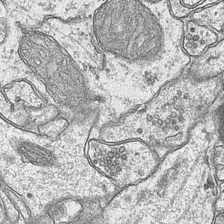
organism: Mouse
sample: CA1 Hippocampus